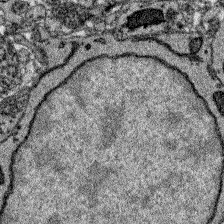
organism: Zebrafish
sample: Larval olfactory bulb